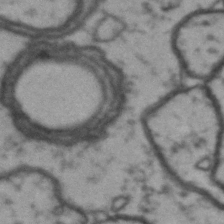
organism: Drosophila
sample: Brain